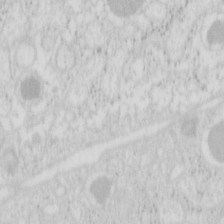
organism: Mouse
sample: Pancreas